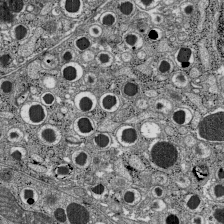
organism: C57BL Mouse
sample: Pancreatic islet